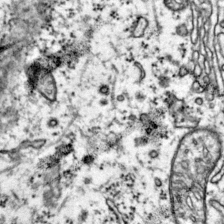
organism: Mouse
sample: Primary visual cortex